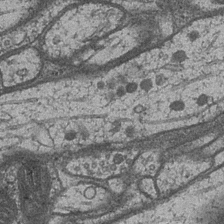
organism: Drosophila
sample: Optic medulla